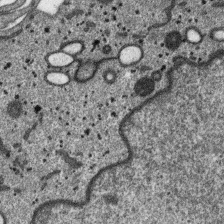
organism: Human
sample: Lung epithelial cells infected with SARS-CoV-2